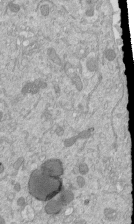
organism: Mouse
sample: ED-1 cell nuclei; centrioles